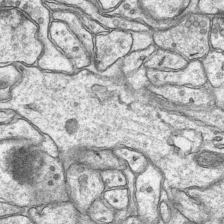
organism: Mouse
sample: CA1 Hippocampus